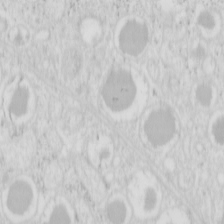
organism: Mouse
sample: Pancreas